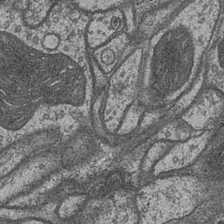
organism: Drosophila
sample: Optic medulla